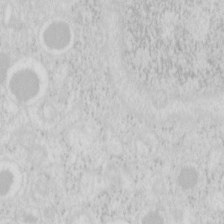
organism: Mouse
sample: Pancreas